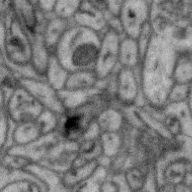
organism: Zebra finch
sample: Brain